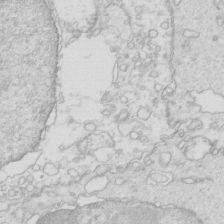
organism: Mouse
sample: Multiciliated cells